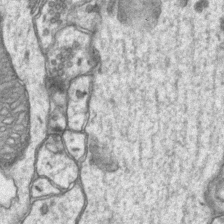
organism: Mouse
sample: CA1 Hippocampus